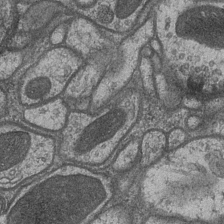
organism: Drosophila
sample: Optic medulla